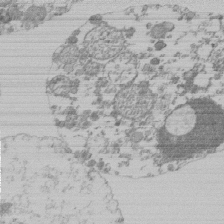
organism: Mouse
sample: Activated Pmel transgenic CD8+ T Cells